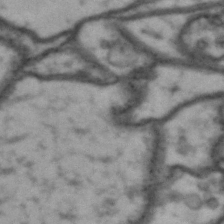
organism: Drosophila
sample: Brain